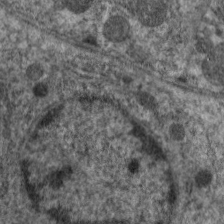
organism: C. elegans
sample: Pharynx